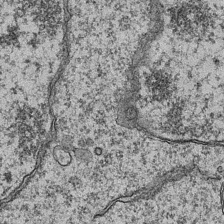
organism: Mouse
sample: CA1 Hippocampus